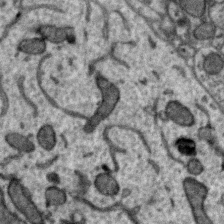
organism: Zebra finch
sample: Brain